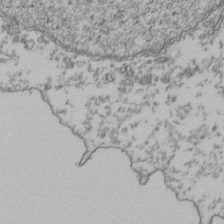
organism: Human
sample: Activated Jurkat CD4+ T cells